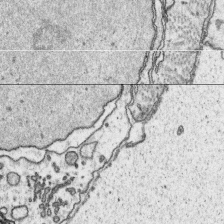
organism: Platynereis dumerilii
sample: Parapodia